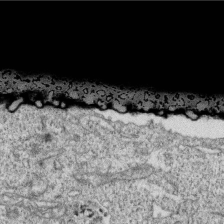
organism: Human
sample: HeLa cell HIV synapse